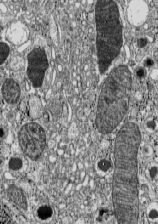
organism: C57BL Mouse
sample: Pancreatic islet